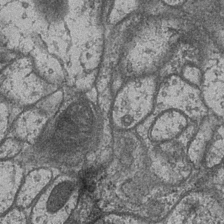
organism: Drosophila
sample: Optic medulla